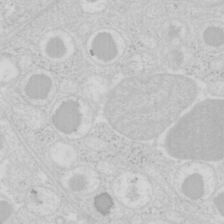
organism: Mouse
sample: Pancreas